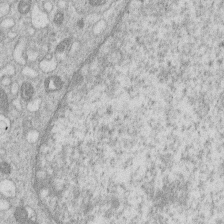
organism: Human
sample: Macrophage cells